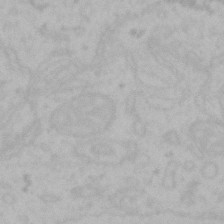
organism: Mouse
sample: Choroid plexus